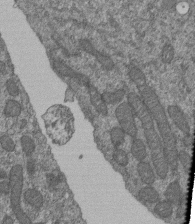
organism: Human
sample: Retinal organoid Rod and Cone cells